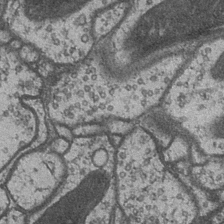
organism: Drosophila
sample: Optic medulla